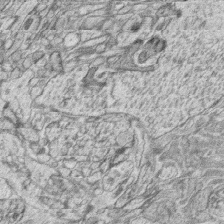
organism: Zebrafish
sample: synaptic ribbons in rod cells and cone cells